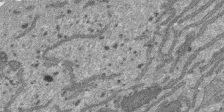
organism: Human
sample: Lung epithelial cells infected with SARS-CoV-2